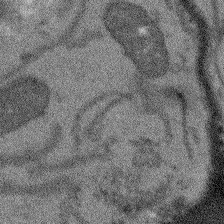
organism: Arabidopsis thaliana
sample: Root tip